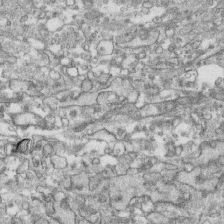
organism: Human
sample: CRL-1474